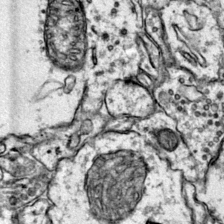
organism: Mouse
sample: Primary visual cortex